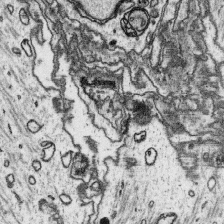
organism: Platynereis dumerilii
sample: Parapodia